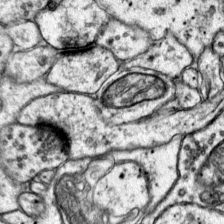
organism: Mouse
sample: Primary visual cortex